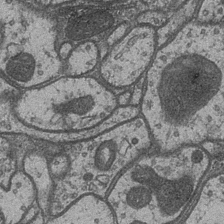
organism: Drosophila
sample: Optic medulla